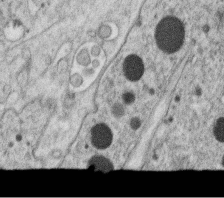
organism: C. elegans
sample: C. elegans oocyte; sperm cells